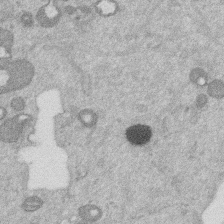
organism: Mouse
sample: Dividing mouse embryo 1 cell stage